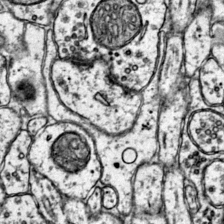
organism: Mouse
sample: Primary visual cortex